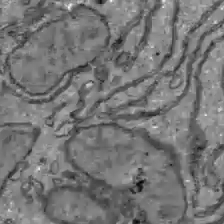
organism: C57BL Mouse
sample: Liver